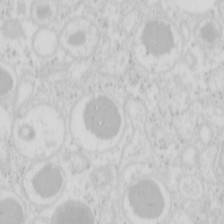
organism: Mouse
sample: Pancreas